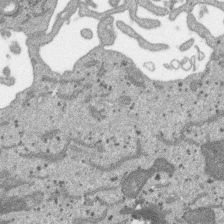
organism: Human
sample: Lung epithelial cells infected with SARS-CoV-2